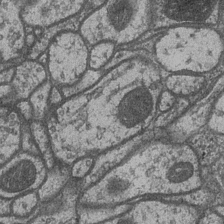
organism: Drosophila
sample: Optic medulla